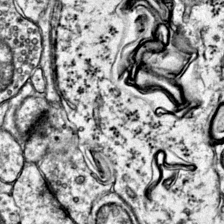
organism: Mouse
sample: Primary visual cortex